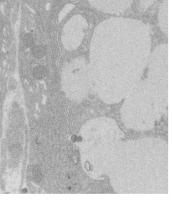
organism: Rat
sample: Salivary granule